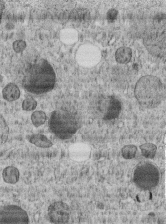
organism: C. elegans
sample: C. elegans embryo early stage